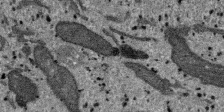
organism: Human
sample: Lung epithelial cells, uninfected (mock) control